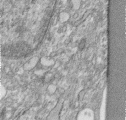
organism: Human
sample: Centriole in RPE cells